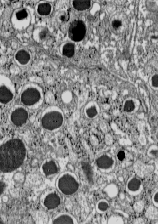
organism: C57BL Mouse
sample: Pancreatic islet